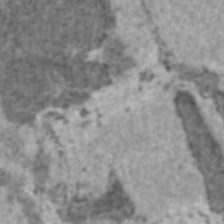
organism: C57BL Mouse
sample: Heart